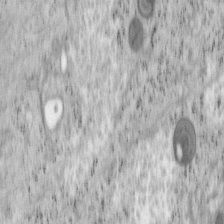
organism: Human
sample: HeLa cells